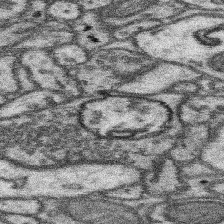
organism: Mouse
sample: Somatosensory cortex neuropil